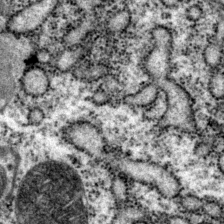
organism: P. pacificus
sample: Pharynx